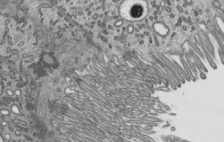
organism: Mouse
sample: Mouse epididymis efferent ductule cilia